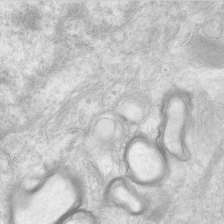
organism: Human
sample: Neocortex